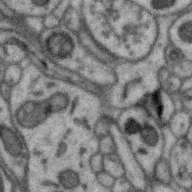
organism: Zebra finch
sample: Brain